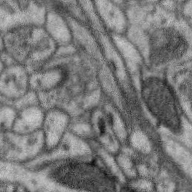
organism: Zebra finch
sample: Brain